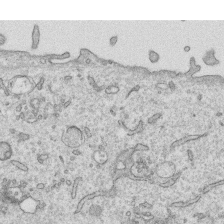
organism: Human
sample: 1205lu cells